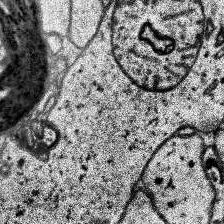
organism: Human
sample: Temporal Lobe